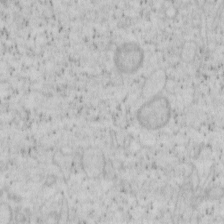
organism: Human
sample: HeLa cells